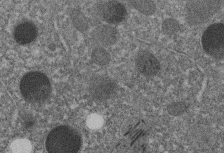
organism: C. elegans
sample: C. elegans embryo early stage